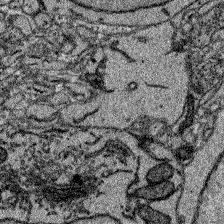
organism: Zebrafish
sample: Larval olfactory bulb